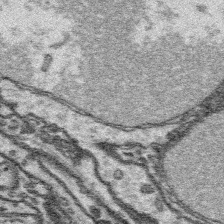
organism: Platynereis dumerilii